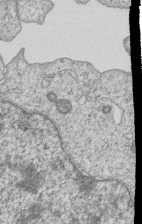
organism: Human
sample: MDA-MB-231 cells